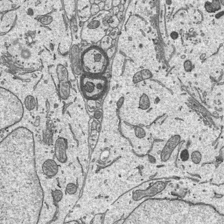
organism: Mouse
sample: Suprachiasmatic nucleus